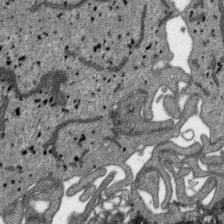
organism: Human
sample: Lung epithelial cells, uninfected (mock) control